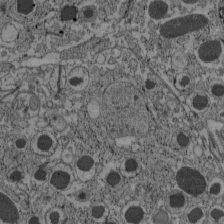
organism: C57BL Mouse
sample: Pancreatic islet